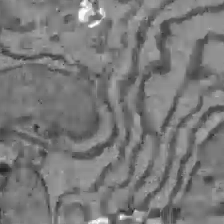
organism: C57BL Mouse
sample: Liver